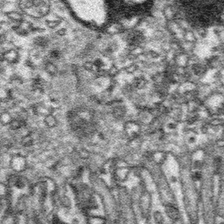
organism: Platynereis dumerilii